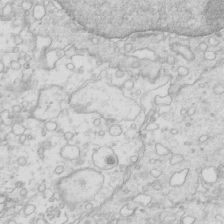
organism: Mouse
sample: Multiciliated cells